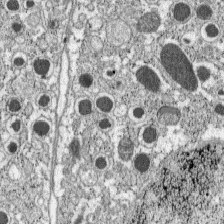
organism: C57BL Mouse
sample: Pancreatic islet